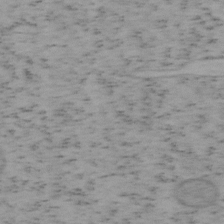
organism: Mouse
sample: OT-I killer T cells with ID8 ovarian cancer cells